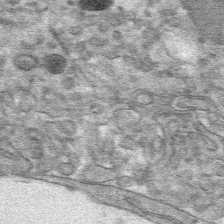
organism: Mouse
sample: Mouse hepatocytes